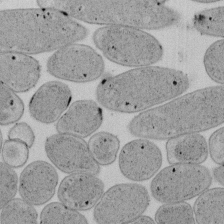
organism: E. coli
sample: Bacterial nucleoid